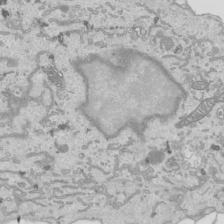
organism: Human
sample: Mitochondria in HCT116 cells